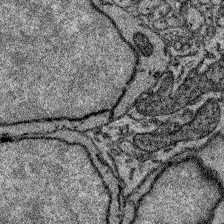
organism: Zebrafish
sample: Larval olfactory bulb